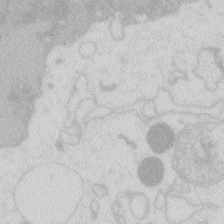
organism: Zebrafish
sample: Macrophage